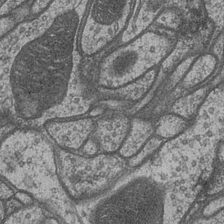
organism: Drosophila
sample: Optic medulla